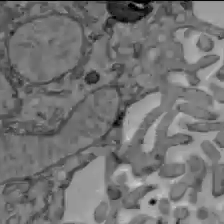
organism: C57BL Mouse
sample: Liver